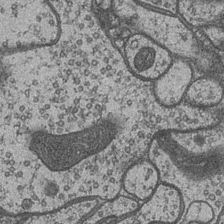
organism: Drosophila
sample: Optic medulla